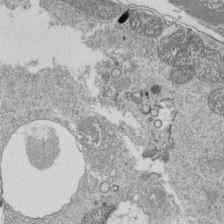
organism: Tetrahymena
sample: Cilia in tetrahymena